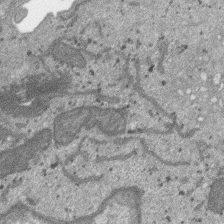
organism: Human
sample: Lung epithelial cells infected with SARS-CoV-2